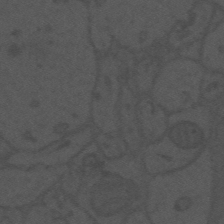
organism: Mouse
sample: Suprachiasmatic nucleus